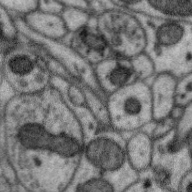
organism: Zebra finch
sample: Brain